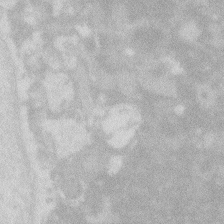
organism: Zebrafish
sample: Macrophage